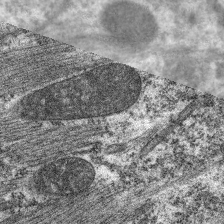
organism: C. elegans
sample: Pharynx